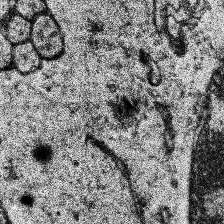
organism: Human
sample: Temporal Lobe